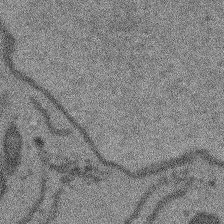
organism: Arabidopsis thaliana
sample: Root tip